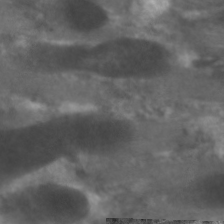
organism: C. elegans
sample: Pharynx